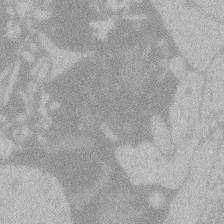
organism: Zebrafish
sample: Macrophage infected with Toxoplasma gondii